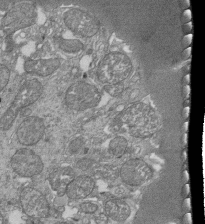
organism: Tetrahymena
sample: Cilia in tetrahymena